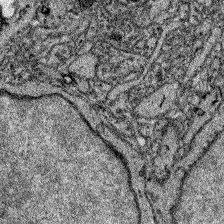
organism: Zebrafish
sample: Larval olfactory bulb